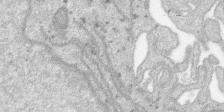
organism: Human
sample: Lung epithelial cells infected with SARS-CoV-2